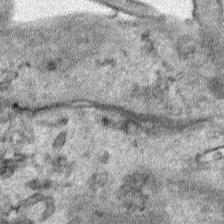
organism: Human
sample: Mitochondria in HCT116 cells